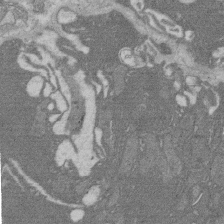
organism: Rat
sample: Salivary granule